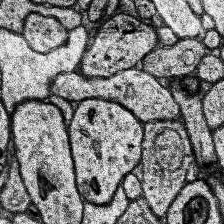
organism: Human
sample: Temporal Lobe